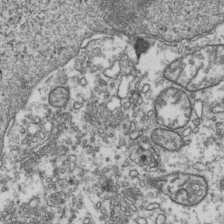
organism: Human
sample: Activated Jurkat CD4+ T cells